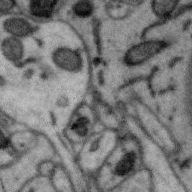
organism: Zebra finch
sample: Brain